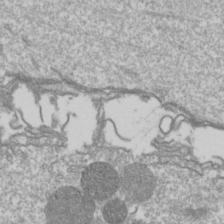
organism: Drosophila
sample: Cell division; meiosis; drosophila spermatocytes